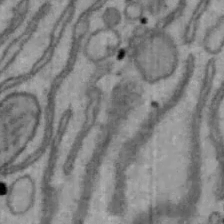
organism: Mouse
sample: Liver